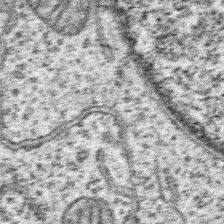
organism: Human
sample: HeLa cells